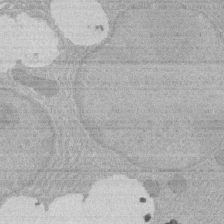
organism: Rat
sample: Salivary granule